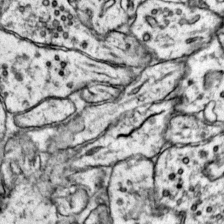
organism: Mouse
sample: Primary visual cortex